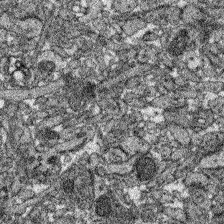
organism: Zebrafish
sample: Larval olfactory bulb